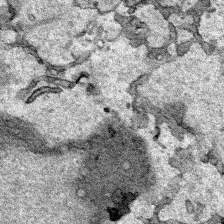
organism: Human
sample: Mitochondria in HCT116 cells